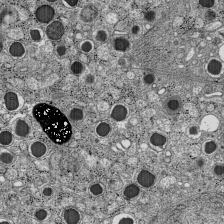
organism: C57BL Mouse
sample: Pancreatic islet